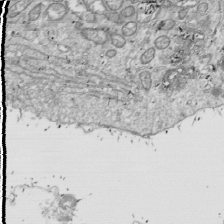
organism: Drosophila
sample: Cell division; meiosis; drosophila spermatocytes